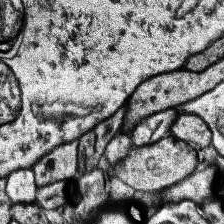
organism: Human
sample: Temporal Lobe